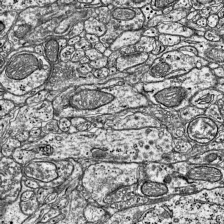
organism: Mouse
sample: Visual Cortex